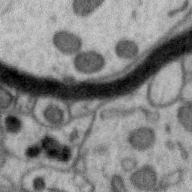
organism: Zebra finch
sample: Brain